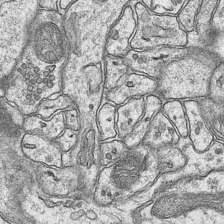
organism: Mouse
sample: CA1 Hippocampus